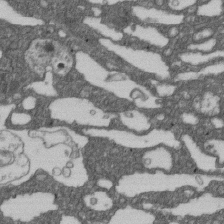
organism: Drosophila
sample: Nephrocyte